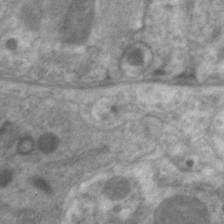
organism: C. elegans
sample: Pharynx